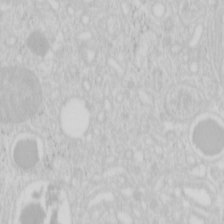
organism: Mouse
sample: Pancreas